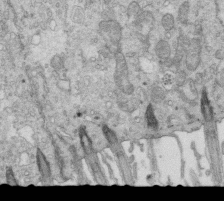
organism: Mouse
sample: Multiciliated cells